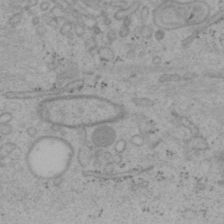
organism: Human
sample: HeLa cells